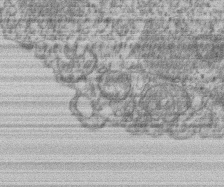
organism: Mouse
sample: T cell stromal cell synapse